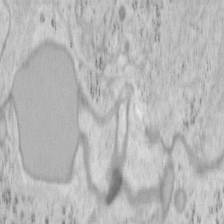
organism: Human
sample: HeLa cells